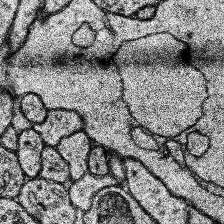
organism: Human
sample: Temporal Lobe